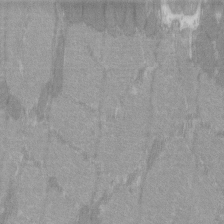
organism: C57BL Mouse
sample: Tibialis anterior muscle cell